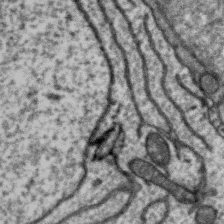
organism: Zebra finch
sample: Brain